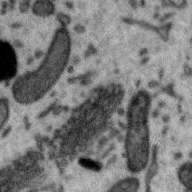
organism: Zebra finch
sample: Brain